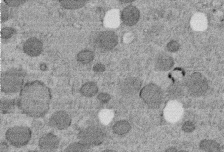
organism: C. elegans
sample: C. elegans embryo early stage